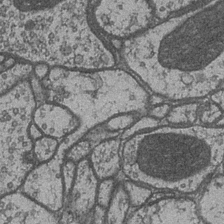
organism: Drosophila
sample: Optic medulla